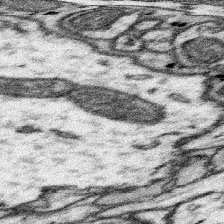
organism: Mouse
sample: Somatosensory cortex neuropil